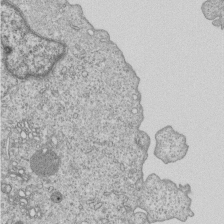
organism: Human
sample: MDA-MB-231 cells